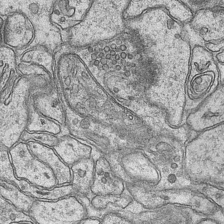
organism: Mouse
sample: CA1 Hippocampus